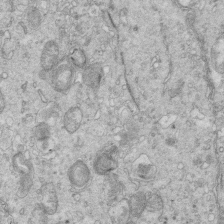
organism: Mouse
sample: Multiciliated cells